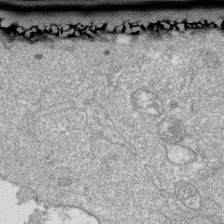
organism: Human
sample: HeLa cell HIV synapse